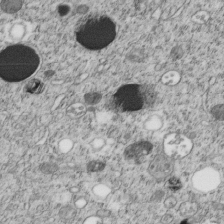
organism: C. elegans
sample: C. elegans embryo early stage